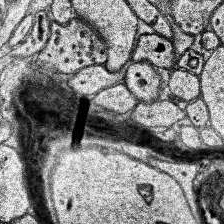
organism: Human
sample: Temporal Lobe